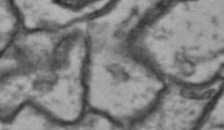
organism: Drosophila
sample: Brain